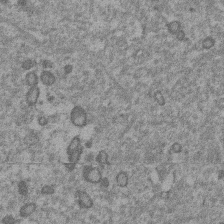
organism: Mouse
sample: Dividing mouse embryo 1 cell stage